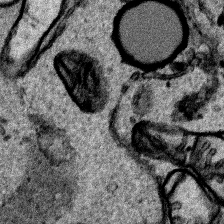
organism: Human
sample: Mitochondria in HCT116 cells